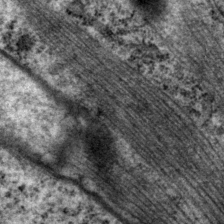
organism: P. pacificus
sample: Pharynx